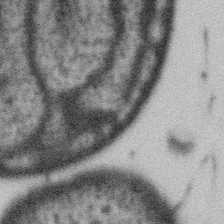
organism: Gemmata obscuriglobus